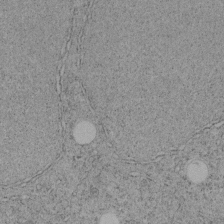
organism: C. elegans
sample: C. elegans embryo early stage